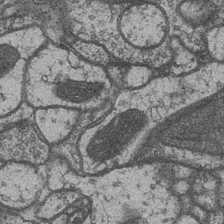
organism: Drosophila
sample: Optic medulla